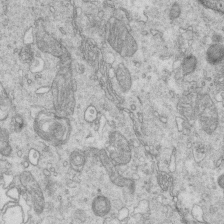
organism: Mouse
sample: Multiciliated cells